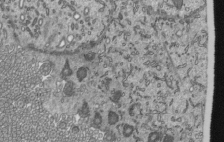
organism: Mouse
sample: Mouse epididymis efferent ductule cilia